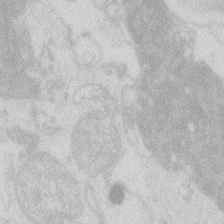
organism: Zebrafish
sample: Macrophage